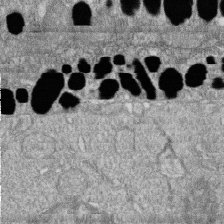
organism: Zebrafish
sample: Cilia; retinal pigment epithelium